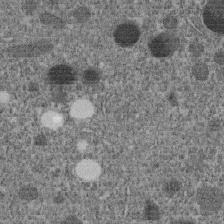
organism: C. elegans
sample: C. elegans embryo early stage